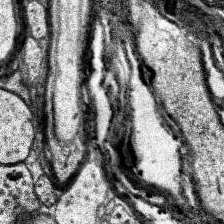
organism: Human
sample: Temporal Lobe